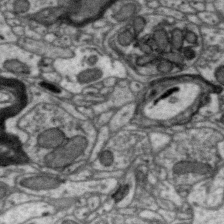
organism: Zebra finch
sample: Brain